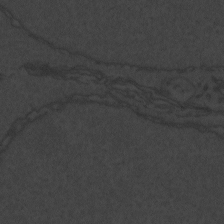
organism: Zebrafish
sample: Macrophage infected with Toxoplasma gondii